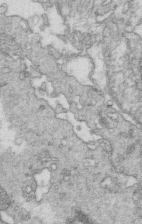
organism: Mouse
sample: Multiciliated cells